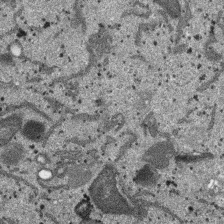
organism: Human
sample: Lung epithelial cells infected with SARS-CoV-2